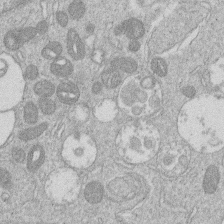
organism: Human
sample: Macrophage cells